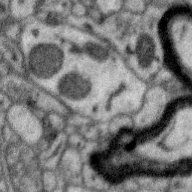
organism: Zebra finch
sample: Brain